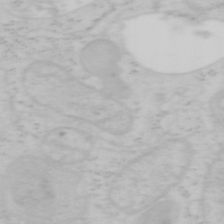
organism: Mouse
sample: OT-I killer T cells with ID8 ovarian cancer cells